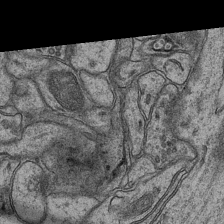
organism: Mouse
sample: CA1 Hippocampus